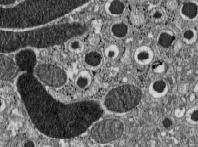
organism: C57BL Mouse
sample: Pancreatic islet